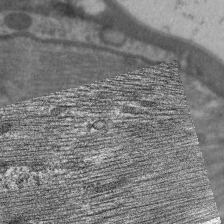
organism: C. elegans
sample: Pharynx